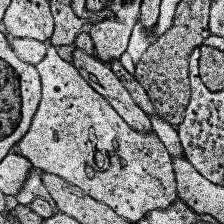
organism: Human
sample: Temporal Lobe